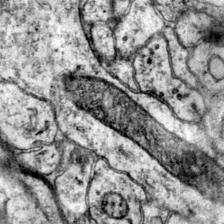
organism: Mouse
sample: Primary visual cortex